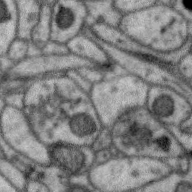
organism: Zebra finch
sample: Brain